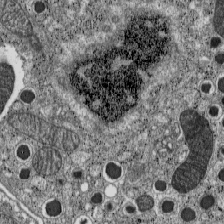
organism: C57BL Mouse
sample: Pancreatic islet